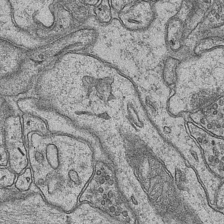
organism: Mouse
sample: CA1 Hippocampus